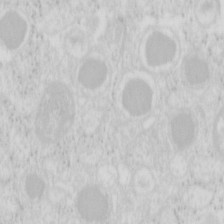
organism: Mouse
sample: Pancreas